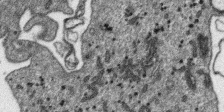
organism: Human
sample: Lung epithelial cells infected with SARS-CoV-2